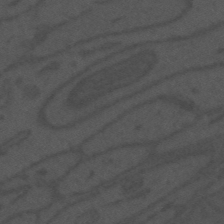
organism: Mouse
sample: Suprachiasmatic nucleus